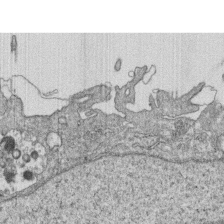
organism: Human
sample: HeLa cell HIV synapse